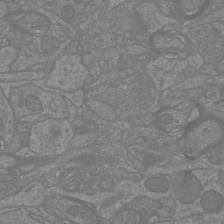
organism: Mouse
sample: Cortical neurons